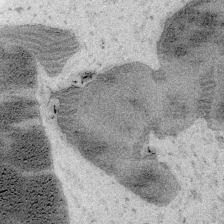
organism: Embia sp.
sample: Silk gland